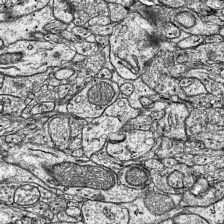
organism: Mouse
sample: Visual Cortex